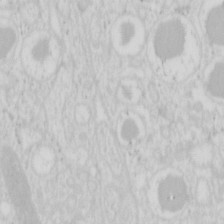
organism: Mouse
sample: Pancreas